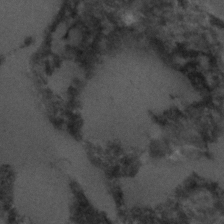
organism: C. elegans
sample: C. elegans embryo